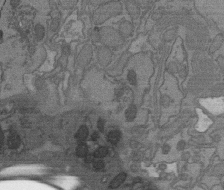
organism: C. elegans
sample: AFD neurons C. elegans